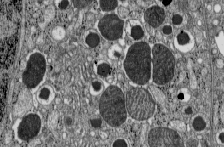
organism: C57BL Mouse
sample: Pancreatic islet